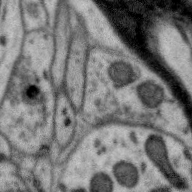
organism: Zebra finch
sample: Brain